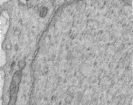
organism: Human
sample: Centriole in RPE cells